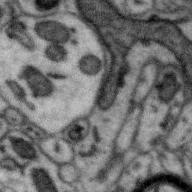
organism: Zebra finch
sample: Brain